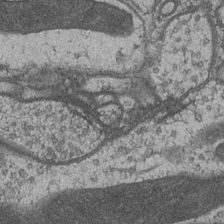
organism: Drosophila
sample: Optic medulla